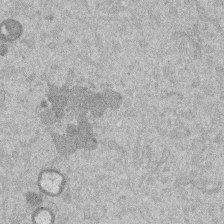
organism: Mouse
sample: Dividing mouse embryo 1 cell stage